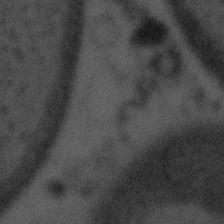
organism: Tuwongella immobilis